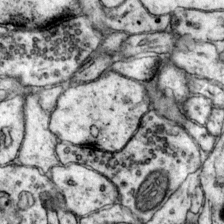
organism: Mouse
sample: Primary visual cortex